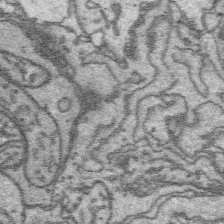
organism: Platynereis dumerilii